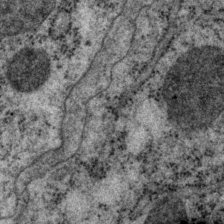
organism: P. pacificus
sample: Pharynx